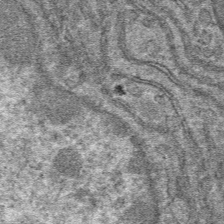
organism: Mouse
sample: Mouse hepatocytes